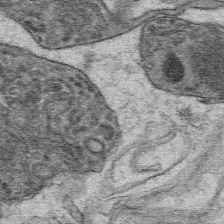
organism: Mouse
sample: Mouse hepatocytes